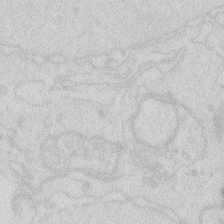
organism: Zebrafish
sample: Macrophage